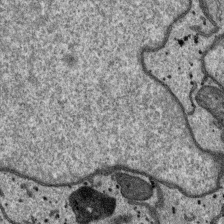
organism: Human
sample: Lung epithelial cells, uninfected (mock) control